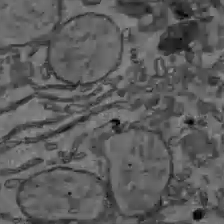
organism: C57BL Mouse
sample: Liver